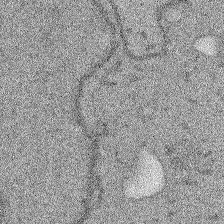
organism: Human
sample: HeLa cells